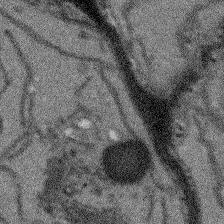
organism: Arabidopsis thaliana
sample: Root tip